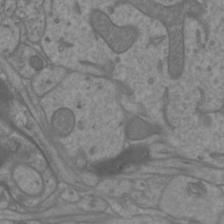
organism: Mouse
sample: Cortical neurons